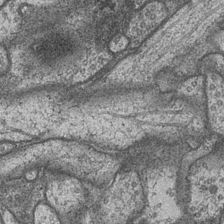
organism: Drosophila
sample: Optic medulla